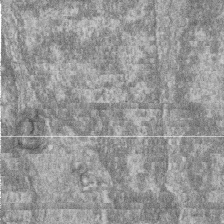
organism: Zebrafish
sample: Cilia; retinal pigment epithelium